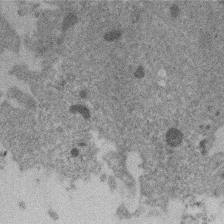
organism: Mouse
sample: Dividing mouse embryo 1 cell stage